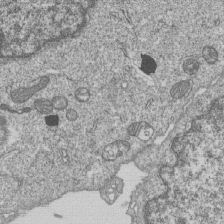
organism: Human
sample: MDA-MB-231 cells